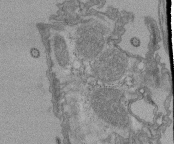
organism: Tetrahymena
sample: Cilia in tetrahymena